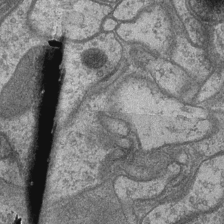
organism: Drosophila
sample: Optic medulla